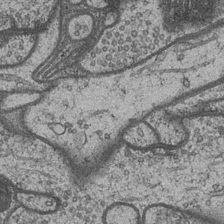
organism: Drosophila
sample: Optic medulla